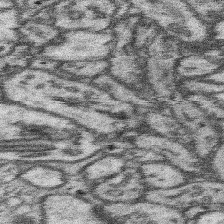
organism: Mouse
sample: Somatosensory cortex neuropil